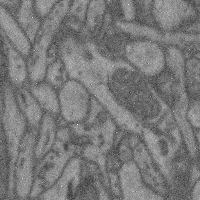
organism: Mouse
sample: Cerebral cortex